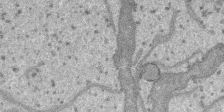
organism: Human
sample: Lung epithelial cells infected with SARS-CoV-2